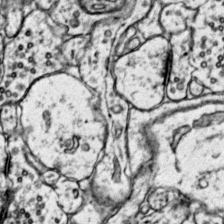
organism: Mouse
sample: Primary visual cortex